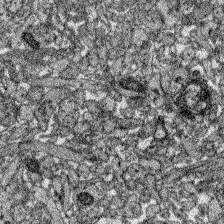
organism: Zebrafish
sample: Larval olfactory bulb